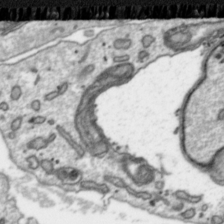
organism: Toxoplasma gondii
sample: Parasites in a vacuole inside a host cell